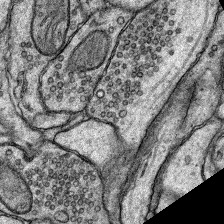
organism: Rat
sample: Hippocampus